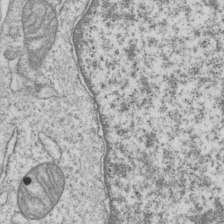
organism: Human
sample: MDA-MB-231 cells